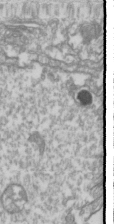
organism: Drosophila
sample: Cell division; meiosis; drosophila spermatocytes